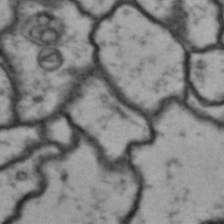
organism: Drosophila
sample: Brain